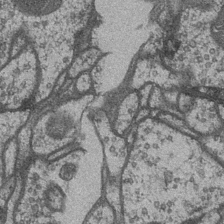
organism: Drosophila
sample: Optic medulla